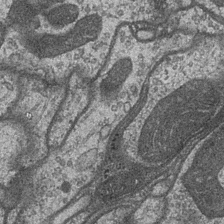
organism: Drosophila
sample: Optic medulla